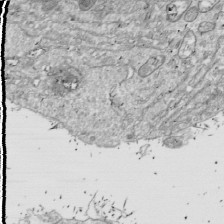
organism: Drosophila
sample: Cell division; meiosis; drosophila spermatocytes